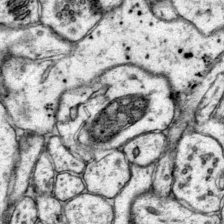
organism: Mouse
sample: Primary visual cortex